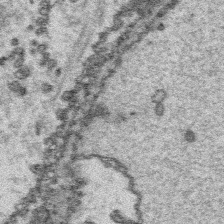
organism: Platynereis dumerilii